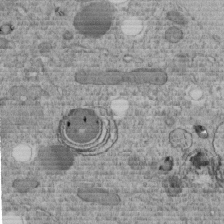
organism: C. elegans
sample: C. elegans embryo early stage